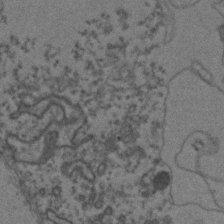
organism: Zebrafish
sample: Zebrafish embryo